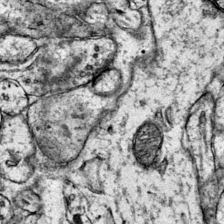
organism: Mouse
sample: Primary visual cortex